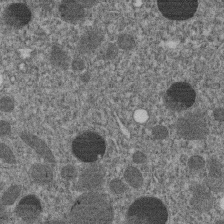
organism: C. elegans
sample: C. elegans embryo early stage